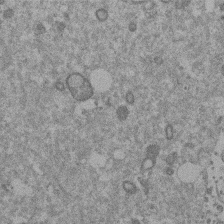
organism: Mouse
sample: Dividing mouse embryo 1 cell stage